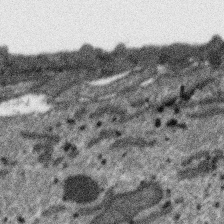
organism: Human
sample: Lung epithelial cells infected with SARS-CoV-2